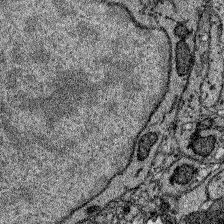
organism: Zebrafish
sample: Larval olfactory bulb